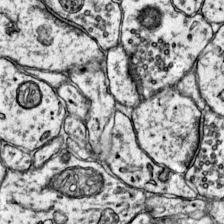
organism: Mouse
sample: Primary visual cortex